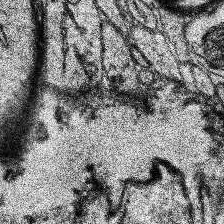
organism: Human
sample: Temporal Lobe